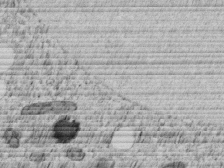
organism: C. elegans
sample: C. elegans embryo early stage